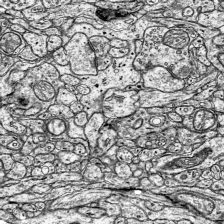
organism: Mouse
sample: Visual Cortex